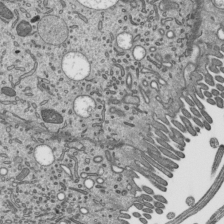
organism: Mouse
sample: Mouse epididymis efferent ductule cilia